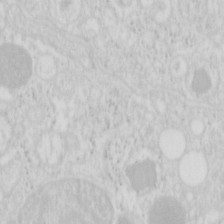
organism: Mouse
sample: Pancreas